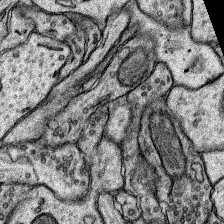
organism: Rat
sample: Hippocampus